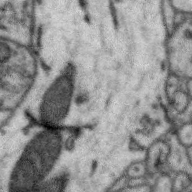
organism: Zebra finch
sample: Brain